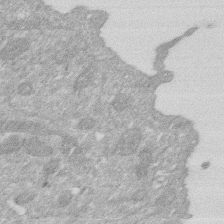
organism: Human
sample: HIV infected U937 cells